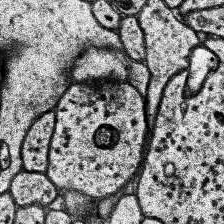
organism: Human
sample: Temporal Lobe